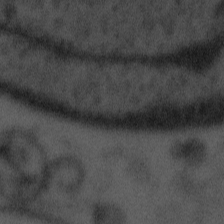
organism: Tuwongella immobilis